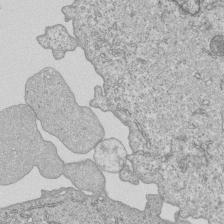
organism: Human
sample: MDA-MB-231 cells